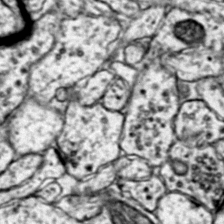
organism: Mouse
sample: Primary visual cortex